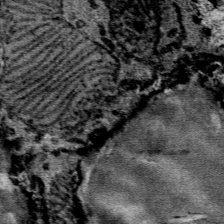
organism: Mouse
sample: Mouse Salivary gland